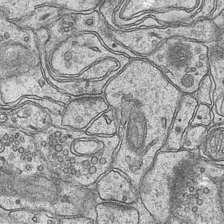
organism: Mouse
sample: CA1 Hippocampus